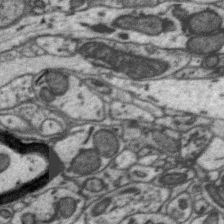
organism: Zebra finch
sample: Brain